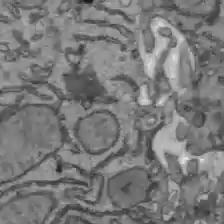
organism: C57BL Mouse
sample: Liver